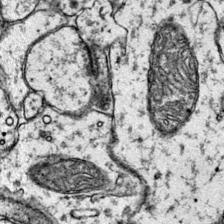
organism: Mouse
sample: Primary visual cortex